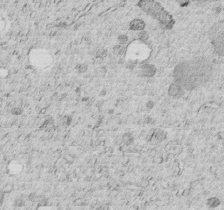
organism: C. elegans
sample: C. elegans embryo early stage